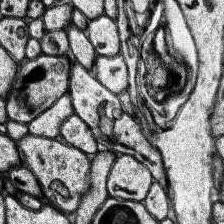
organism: Human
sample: Temporal Lobe